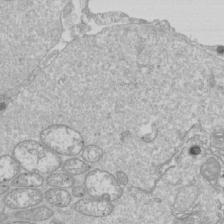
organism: Drosophila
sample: Cell division; meiosis; drosophila spermatocytes